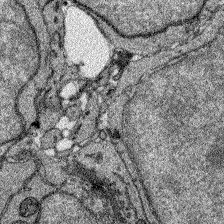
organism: Zebrafish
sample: Larval olfactory bulb